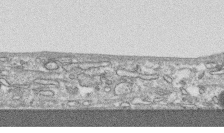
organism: Human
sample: CRL-1474